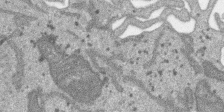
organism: Human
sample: Lung epithelial cells infected with SARS-CoV-2